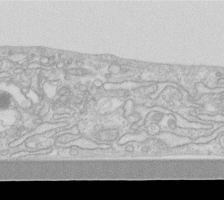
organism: Human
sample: Fibroblast cells